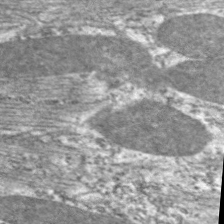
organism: C. elegans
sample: Pharynx